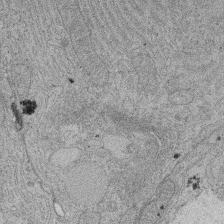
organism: Rat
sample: Salivary granule